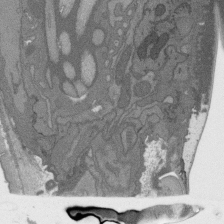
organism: C. elegans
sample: AFD neurons C. elegans